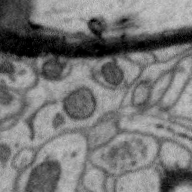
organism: Zebra finch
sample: Brain